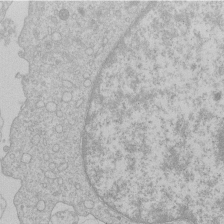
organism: Human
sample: Macrophage cells